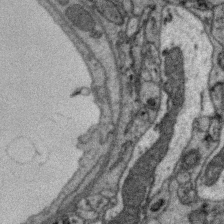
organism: Zebra finch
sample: Brain